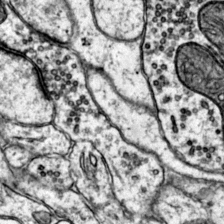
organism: Mouse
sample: Primary visual cortex